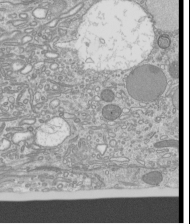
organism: Mouse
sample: Cilia; mouse epididymis